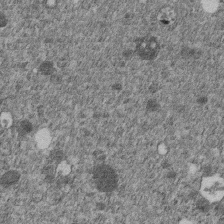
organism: C. elegans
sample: C. elegans embryo early stage